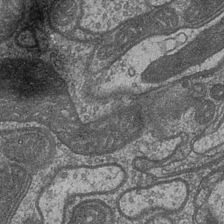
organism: Drosophila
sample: Optic medulla